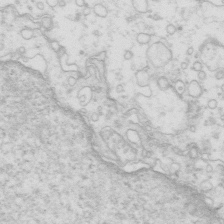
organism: Mouse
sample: Multiciliated cells